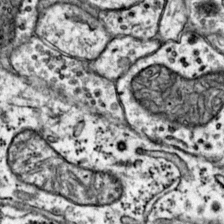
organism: Mouse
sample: Primary visual cortex